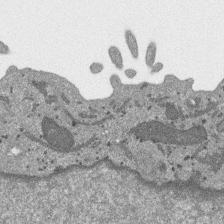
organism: Human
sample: Lung epithelial cells infected with SARS-CoV-2